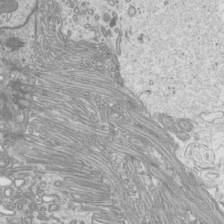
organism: Mouse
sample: Cilia; mouse epididymis